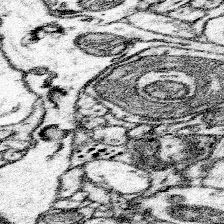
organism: Mouse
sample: Somatosensory cortex neuropil